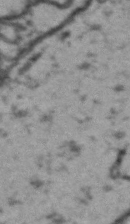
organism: Drosophila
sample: Brain